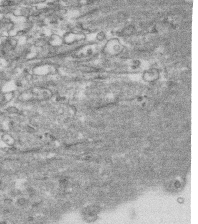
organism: Human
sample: CRL-1474